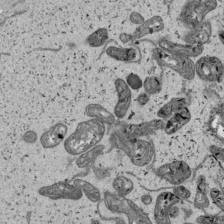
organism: Human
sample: Mitochondria in HCT116 cells